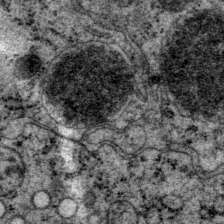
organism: P. pacificus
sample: Pharynx